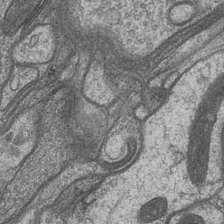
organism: Drosophila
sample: Optic medulla